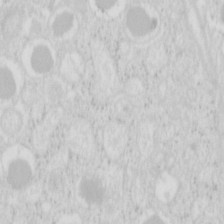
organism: Mouse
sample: Pancreas